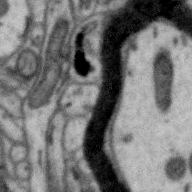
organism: Zebra finch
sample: Brain